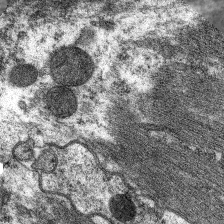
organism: C. elegans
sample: Pharynx